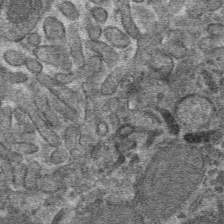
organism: Mouse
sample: Mouse hepatocytes